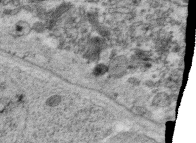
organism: C. elegans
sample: C. elegans oocyte; sperm cells